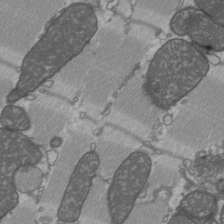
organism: C57BL Mouse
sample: Heart